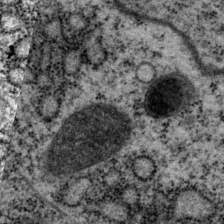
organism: P. pacificus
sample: Pharynx